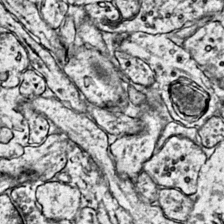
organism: Mouse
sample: Primary visual cortex